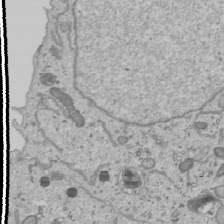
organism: Human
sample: Mitochondria in U2OS cells